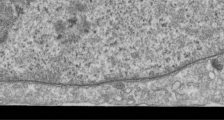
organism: Human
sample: Centriole in RPE cells